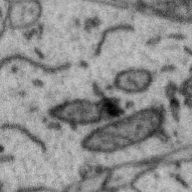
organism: Zebra finch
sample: Brain